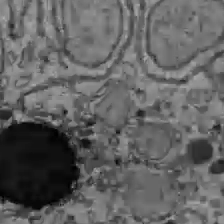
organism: C57BL Mouse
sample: Liver